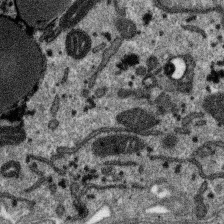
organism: Human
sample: Lung epithelial cells infected with SARS-CoV-2